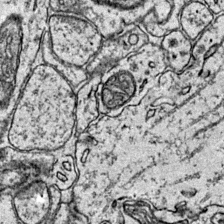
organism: Mouse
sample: Primary visual cortex